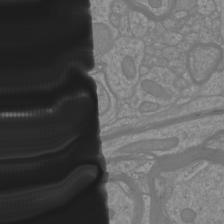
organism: Mouse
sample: Cortical neurons